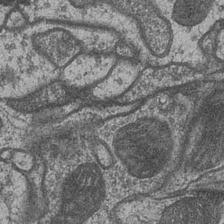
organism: Drosophila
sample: Optic medulla